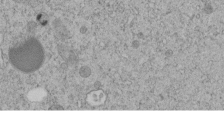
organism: C. elegans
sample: C. elegans embryo early stage